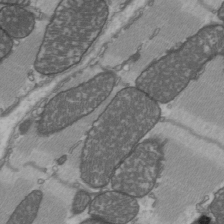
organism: C57BL Mouse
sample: Heart